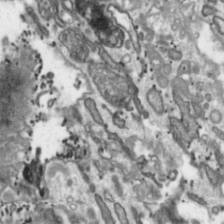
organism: Toxoplasma gondii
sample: Parasites in a vacuole inside a host cell